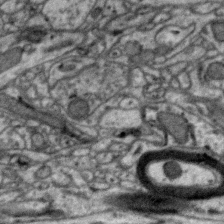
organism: Zebra finch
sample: Brain